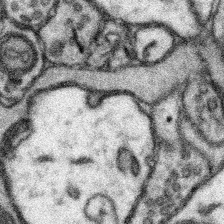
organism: Mouse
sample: Somatosensory cortex neuropil